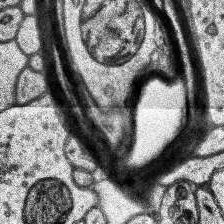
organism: Human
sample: Temporal Lobe